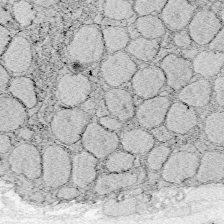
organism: Zebrafish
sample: Whole-Brain